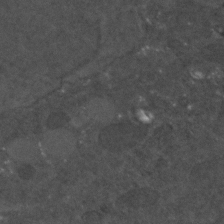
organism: C. elegans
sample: C. elegans embryo